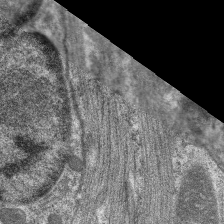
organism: C. elegans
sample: Pharynx